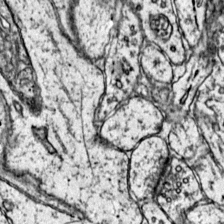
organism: Mouse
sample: Primary visual cortex